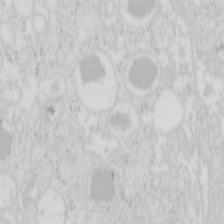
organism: Mouse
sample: Pancreas